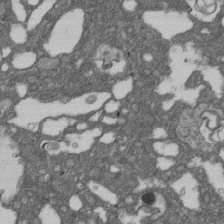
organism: Drosophila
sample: Nephrocyte